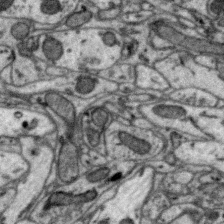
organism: Zebra finch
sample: Brain